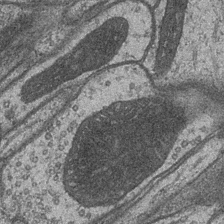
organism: Drosophila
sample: Optic medulla